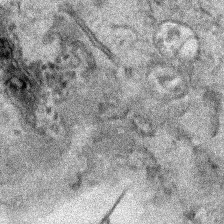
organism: Human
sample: Mitochondria in HCT116 cells